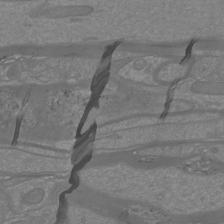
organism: Mouse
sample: Cortical neurons